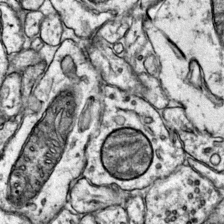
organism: Mouse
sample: Primary visual cortex